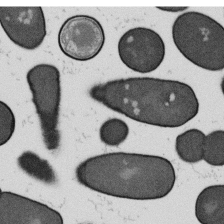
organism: B. subtilis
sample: Bacterial spore